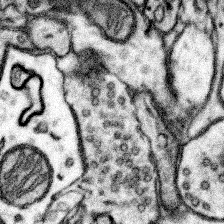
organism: Mouse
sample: Somatosensory cortex neuropil